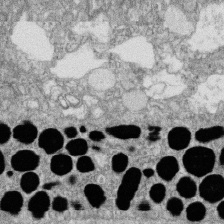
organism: Zebrafish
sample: Cilia; retinal pigment epithelium